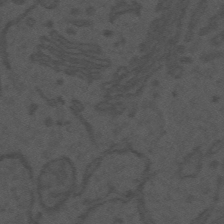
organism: Mouse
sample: Suprachiasmatic nucleus